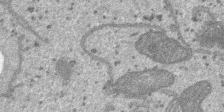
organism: Human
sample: Lung epithelial cells infected with SARS-CoV-2